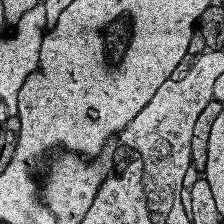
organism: Human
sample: Temporal Lobe